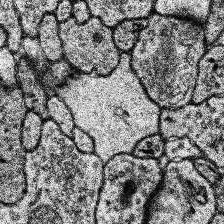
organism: Human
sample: Temporal Lobe